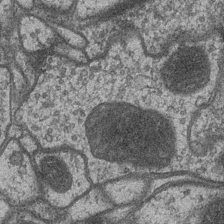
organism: Drosophila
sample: Optic medulla